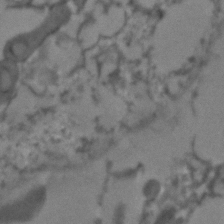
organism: C. elegans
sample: C. elegans embryo